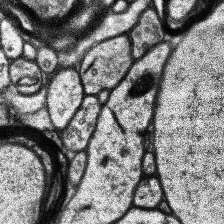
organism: Human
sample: Temporal Lobe